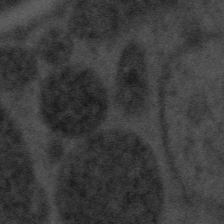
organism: Tuwongella immobilis